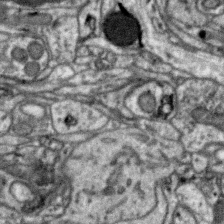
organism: Zebra finch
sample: Brain